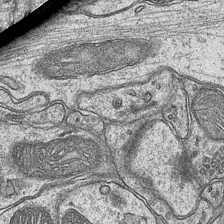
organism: Mouse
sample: CA1 Hippocampus